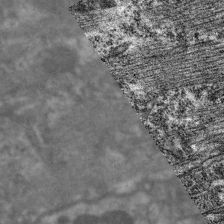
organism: C. elegans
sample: Pharynx